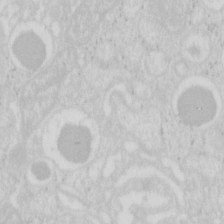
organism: Mouse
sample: Pancreas